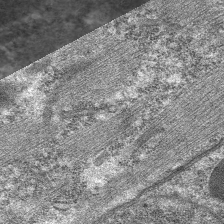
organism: C. elegans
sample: Pharynx